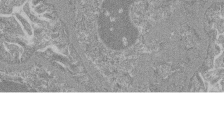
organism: Mouse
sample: Glomerulus